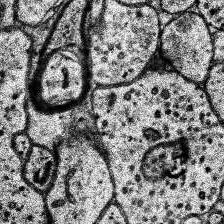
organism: Human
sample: Temporal Lobe